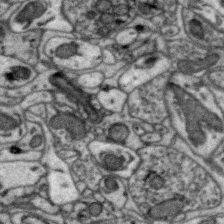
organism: Zebra finch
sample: Brain